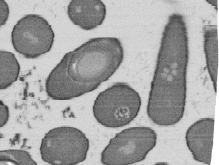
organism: B. subtilis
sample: Bacterial spore